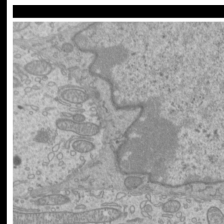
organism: Mouse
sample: Cilia; mouse epididymis